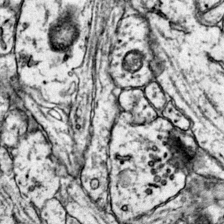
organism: Mouse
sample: Primary visual cortex